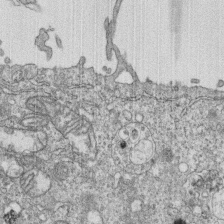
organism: Human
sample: HeLa cell HIV synapse